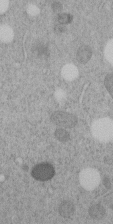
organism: C. elegans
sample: C. elegans embryo early stage